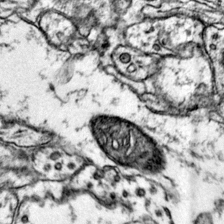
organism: Mouse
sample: Primary visual cortex